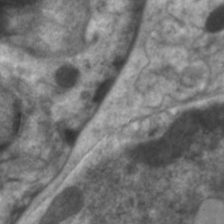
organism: C. elegans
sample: Pharynx